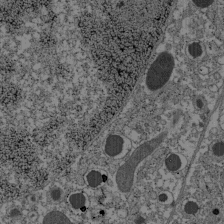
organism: C57BL Mouse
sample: Pancreatic islet